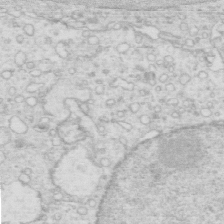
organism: Mouse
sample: Multiciliated cells